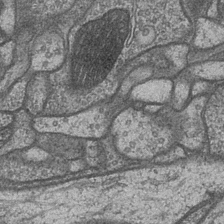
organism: Drosophila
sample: Optic medulla